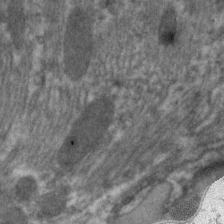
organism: C. elegans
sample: Pharynx